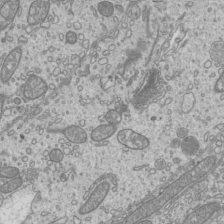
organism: Mouse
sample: Cilia; mouse epididymis